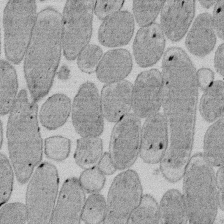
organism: E. coli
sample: Bacterial nucleoid